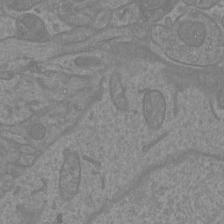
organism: Mouse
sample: Cortical neurons